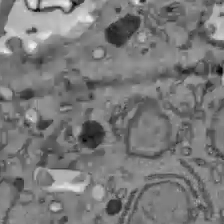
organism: C57BL Mouse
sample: Liver